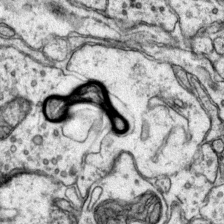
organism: Mouse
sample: Primary visual cortex